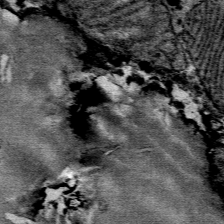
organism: Mouse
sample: Mouse Salivary gland